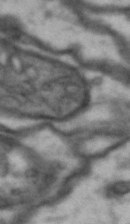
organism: Drosophila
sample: Brain